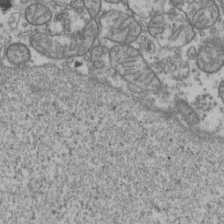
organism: Human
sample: Activated Jurkat CD4+ T cells